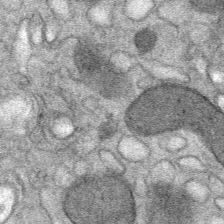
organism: Mouse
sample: Mouse Salivary gland